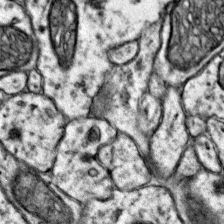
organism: Mouse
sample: Primary visual cortex